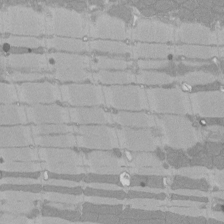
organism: Rat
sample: Left ventricle